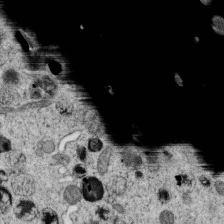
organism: C. elegans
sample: C. elegans oocyte; sperm cells